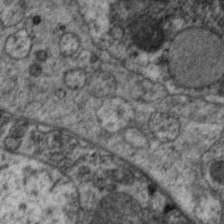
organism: C. elegans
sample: Pharynx